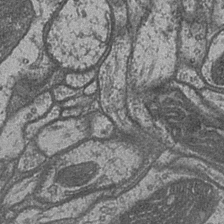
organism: Drosophila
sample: Optic medulla